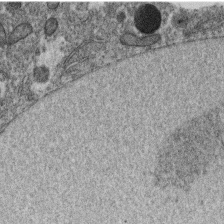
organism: C. elegans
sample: C. elegans oocyte; sperm cells